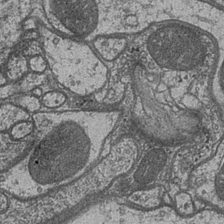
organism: Drosophila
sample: Optic medulla